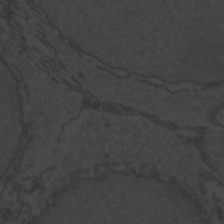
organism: Zebrafish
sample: Macrophage infected with Toxoplasma gondii